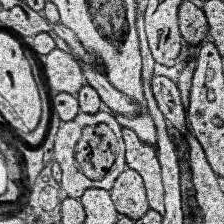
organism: Human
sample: Temporal Lobe